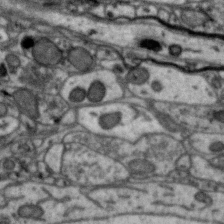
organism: Zebra finch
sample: Brain